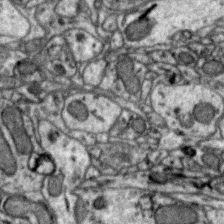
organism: Zebra finch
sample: Brain